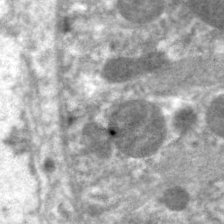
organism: C. elegans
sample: Pharynx